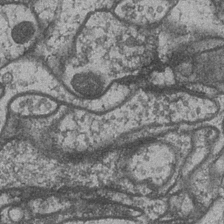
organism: Drosophila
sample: Optic medulla